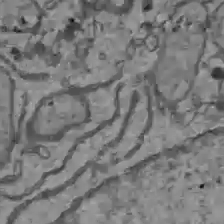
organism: C57BL Mouse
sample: Liver